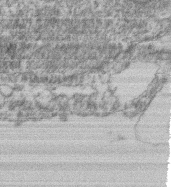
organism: Mouse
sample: T cell stromal cell synapse